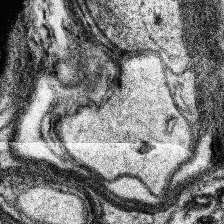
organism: Human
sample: Temporal Lobe